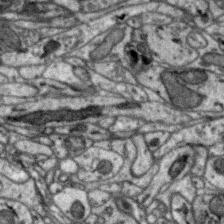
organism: Zebra finch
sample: Brain